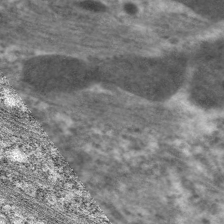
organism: C. elegans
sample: Pharynx